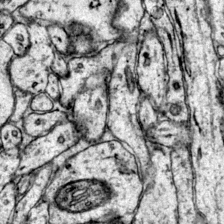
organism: Mouse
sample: Primary visual cortex